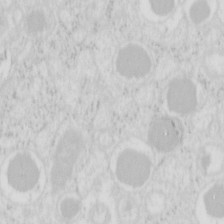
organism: Mouse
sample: Pancreas